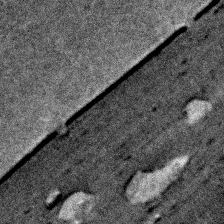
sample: Trachea